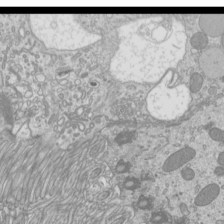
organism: Mouse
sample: Cilia; mouse epididymis